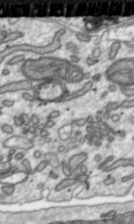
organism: Toxoplasma gondii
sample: Parasites in a vacuole inside a host cell